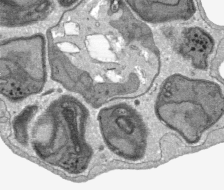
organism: Plasmodium falciparum